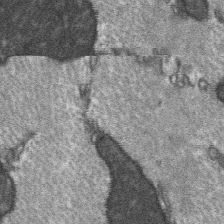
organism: C57BL Mouse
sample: Soleus